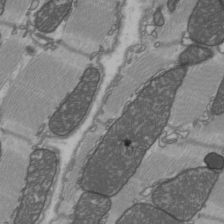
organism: C57BL Mouse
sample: Heart